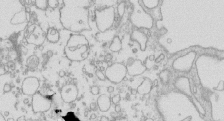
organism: Mouse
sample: Macrophages